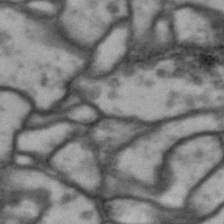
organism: Drosophila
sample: Brain